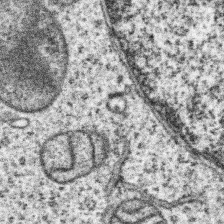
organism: Human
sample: HeLa cells